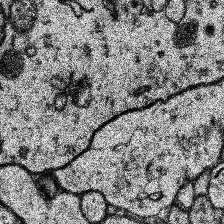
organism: Human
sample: Temporal Lobe